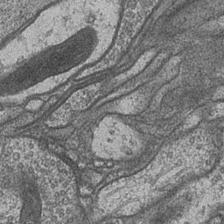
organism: Drosophila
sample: Optic medulla